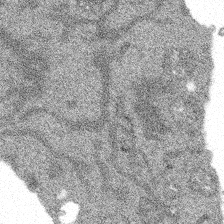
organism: Spongilla lacustris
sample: Multiple